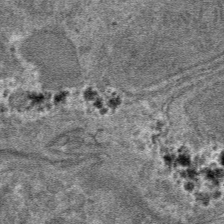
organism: Mouse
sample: Mouse hepatocytes